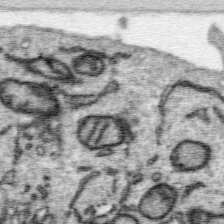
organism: Human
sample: HeLa cells